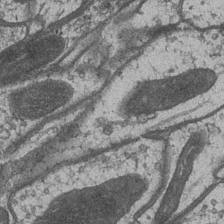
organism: Drosophila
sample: Optic medulla